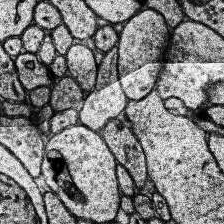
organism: Human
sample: Temporal Lobe